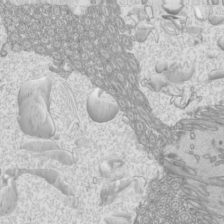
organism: Mouse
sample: Cilia; mouse epididymis